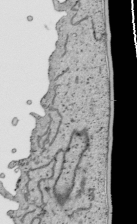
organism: Human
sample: Mitochondria in HCT116 cells